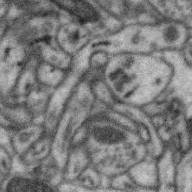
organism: Zebra finch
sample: Brain